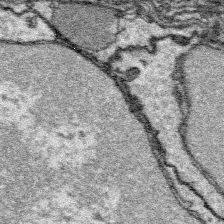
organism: Platynereis dumerilii